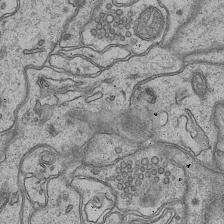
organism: Mouse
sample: CA1 Hippocampus